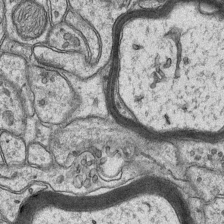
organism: Mouse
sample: CA1 Hippocampus